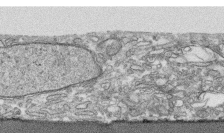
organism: Human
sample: CRL-1474